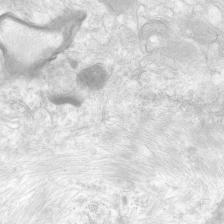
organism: Human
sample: Neocortex